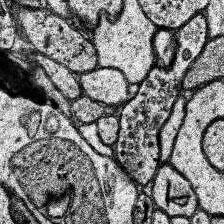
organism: Human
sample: Temporal Lobe